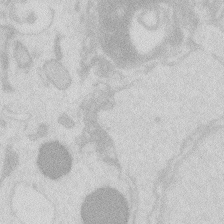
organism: Zebrafish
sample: Macrophage